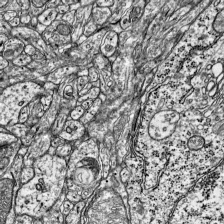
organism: Mouse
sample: Visual Cortex